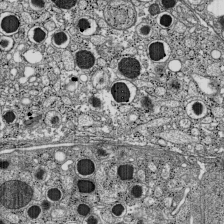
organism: C57BL Mouse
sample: Pancreatic islet